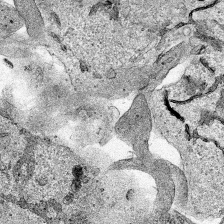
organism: Human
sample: Mitochondria in HCT116 cells